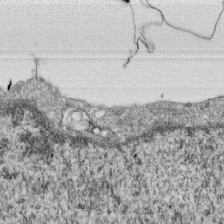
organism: African green monkey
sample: Vero E6 cells infected with SARS-CoV-2